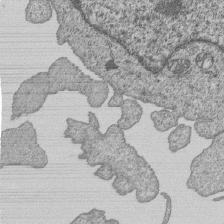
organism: Human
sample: MDA-MB-231 cells